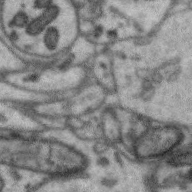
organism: Zebra finch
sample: Brain